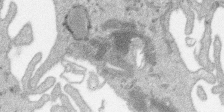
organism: Human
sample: Lung epithelial cells infected with SARS-CoV-2